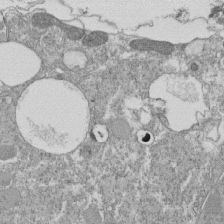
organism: Tetrahymena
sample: Cilia in tetrahymena